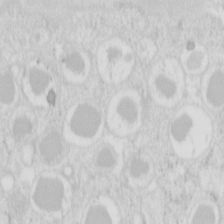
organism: Mouse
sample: Pancreas